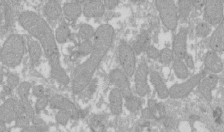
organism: Xenopus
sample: Cilia; centrioles in frog embryo cells